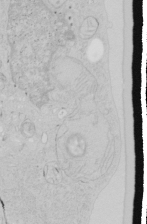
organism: Human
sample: Mitochondria in HCT116 cells